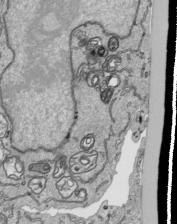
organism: Human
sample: Mitochondria in HCT116 cells